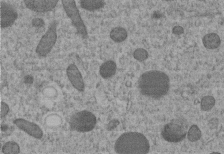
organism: C. elegans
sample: C. elegans embryo early stage